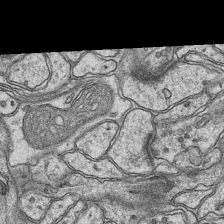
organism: Mouse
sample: CA1 Hippocampus